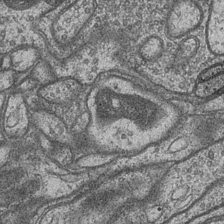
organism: Drosophila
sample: Optic medulla